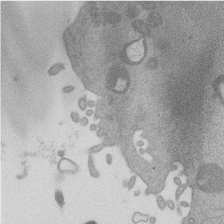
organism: Mouse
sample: Dividing mouse embryo 1 cell stage